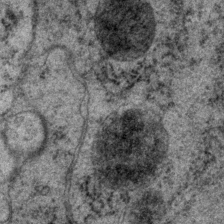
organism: P. pacificus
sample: Pharynx